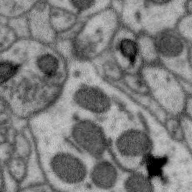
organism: Zebra finch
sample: Brain